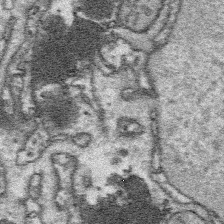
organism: Platynereis dumerilii